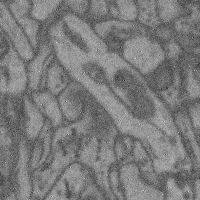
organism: Mouse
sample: Cerebral cortex